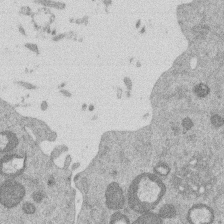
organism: Mouse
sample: Dividing mouse embryo 1 cell stage